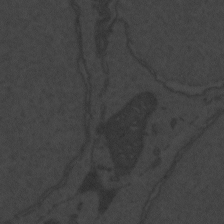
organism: Zebrafish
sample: Macrophage infected with Toxoplasma gondii